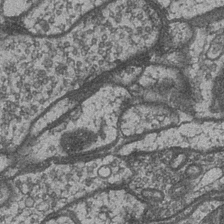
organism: Drosophila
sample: Optic medulla